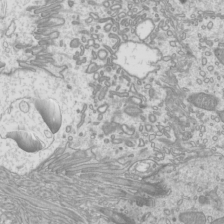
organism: Mouse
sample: Cilia; mouse epididymis